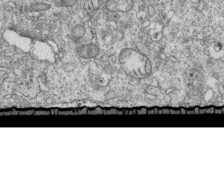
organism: Human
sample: HeLa cell HIV synapse